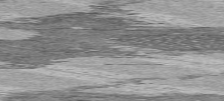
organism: C57BL Mouse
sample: Heart